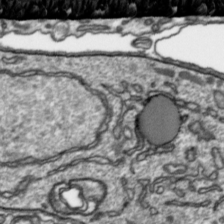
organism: Toxoplasma gondii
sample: Parasites in a vacuole inside a host cell